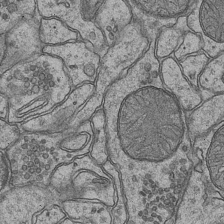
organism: Mouse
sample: CA1 Hippocampus